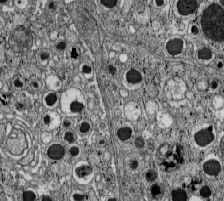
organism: C57BL Mouse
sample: Pancreatic islet